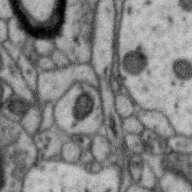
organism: Zebra finch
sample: Brain